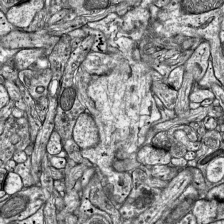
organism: Mouse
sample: Visual Cortex